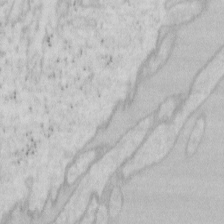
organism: Human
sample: HeLa cells